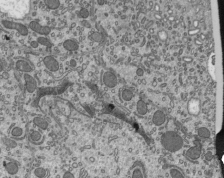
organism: Mouse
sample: Mouse epididymis efferent ductule cilia